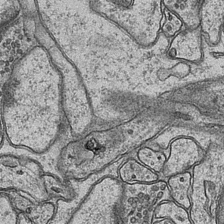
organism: Mouse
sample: CA1 Hippocampus